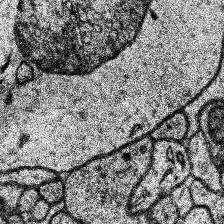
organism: Human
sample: Temporal Lobe